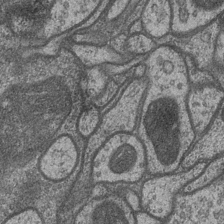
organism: Drosophila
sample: Optic medulla